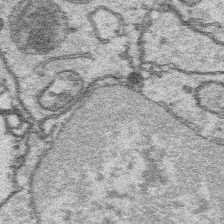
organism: Platynereis dumerilii